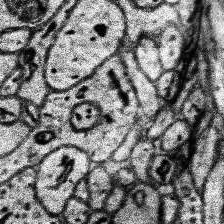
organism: Human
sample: Temporal Lobe